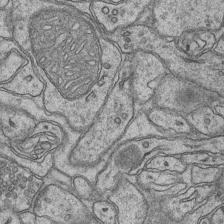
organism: Mouse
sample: CA1 Hippocampus